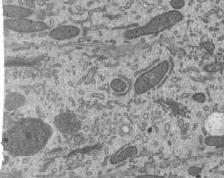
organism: Mouse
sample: Mouse epididymis efferent ductule cilia